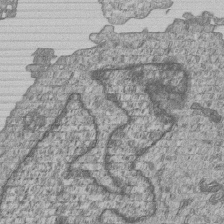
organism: Human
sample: MDA-MB-231 cells